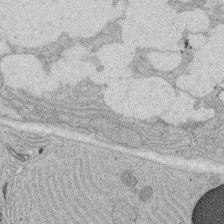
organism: Rat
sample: Salivary granule